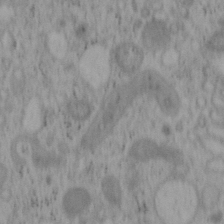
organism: Mouse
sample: OT-I killer T cells with ID8 ovarian cancer cells